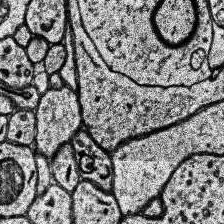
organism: Human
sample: Temporal Lobe